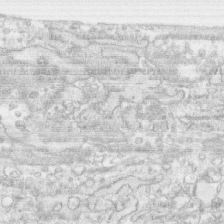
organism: Human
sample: CRL-1474